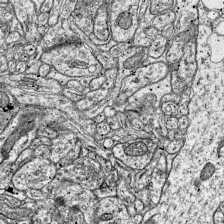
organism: Mouse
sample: Visual Cortex